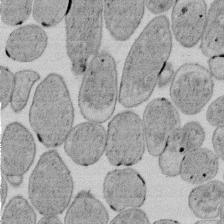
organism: E. coli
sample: Bacterial nucleoid